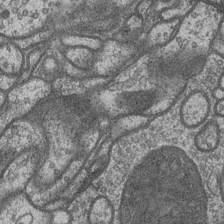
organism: Drosophila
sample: Optic medulla